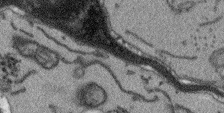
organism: Arabidopsis thaliana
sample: Root tip